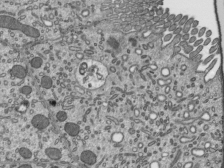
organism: Mouse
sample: Mouse epididymis efferent ductule cilia